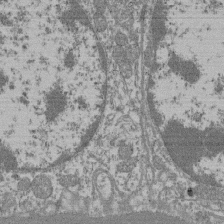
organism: Mouse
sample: Glomerulus